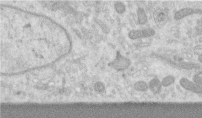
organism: Human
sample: Centriole in RPE cells